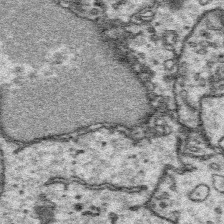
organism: Platynereis dumerilii